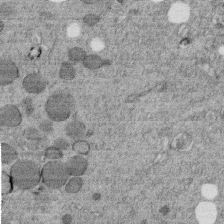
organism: C. elegans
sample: C. elegans embryo early stage